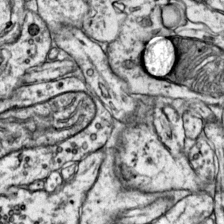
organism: Mouse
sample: Primary visual cortex